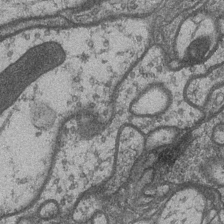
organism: Drosophila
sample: Optic medulla